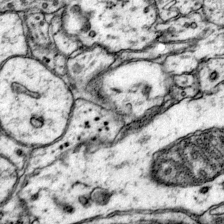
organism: Mouse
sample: Primary visual cortex